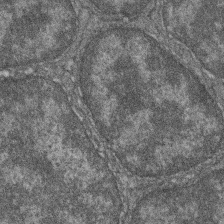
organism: Zebrafish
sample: Cilia; retinal pigment epithelium